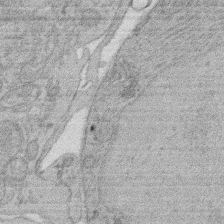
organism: Rat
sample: Salivary granule